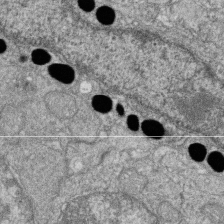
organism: Zebrafish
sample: Cilia; retinal pigment epithelium